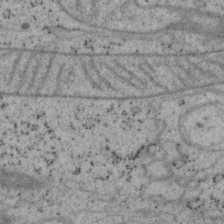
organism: Human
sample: HeLa cells